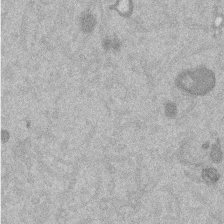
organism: Mouse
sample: Dividing mouse embryo 1 cell stage